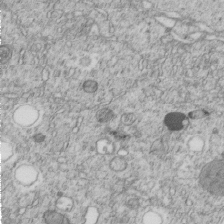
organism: C. elegans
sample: C. elegans embryo early stage